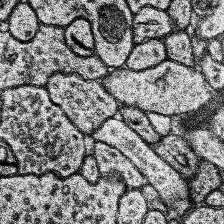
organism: Human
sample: Temporal Lobe